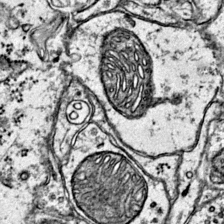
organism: Mouse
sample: Primary visual cortex